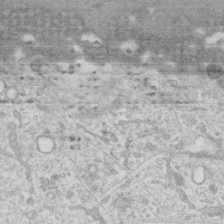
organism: Human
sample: Fibroblast cells